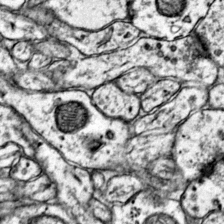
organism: Mouse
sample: Primary visual cortex